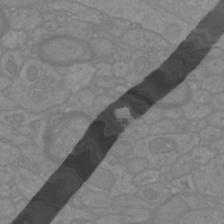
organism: Mouse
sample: Cortical neurons